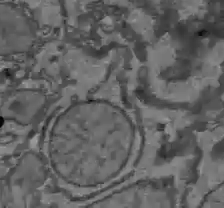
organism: C57BL Mouse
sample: Liver